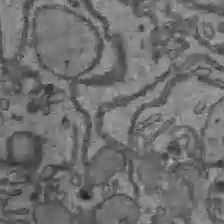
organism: C57BL Mouse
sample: Liver